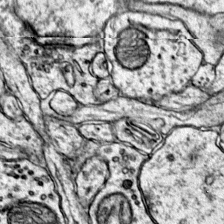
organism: Mouse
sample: Primary visual cortex